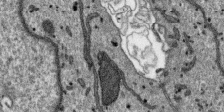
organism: Human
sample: Lung epithelial cells, uninfected (mock) control